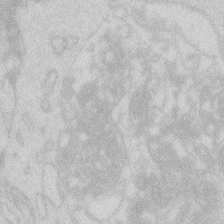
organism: Zebrafish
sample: Macrophage